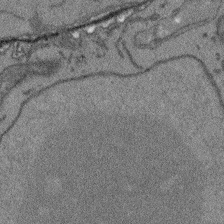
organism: Arabidopsis thaliana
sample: Root tip